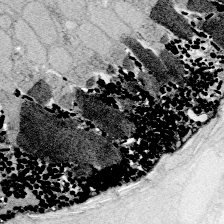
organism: Zebrafish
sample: Whole-Brain